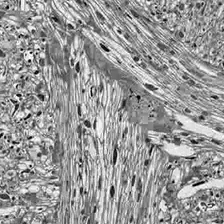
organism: Drosophila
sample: Optic lobe